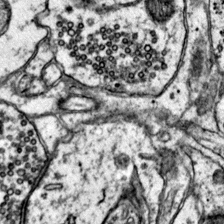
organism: Mouse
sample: Primary visual cortex